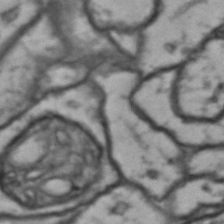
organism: Drosophila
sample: Brain